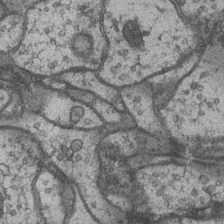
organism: Drosophila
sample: Optic medulla